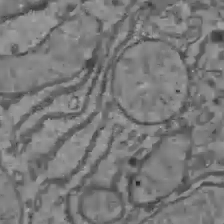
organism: C57BL Mouse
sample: Liver